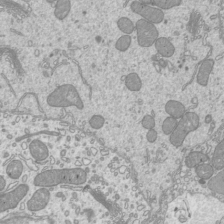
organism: Mouse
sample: Cilia; mouse epididymis